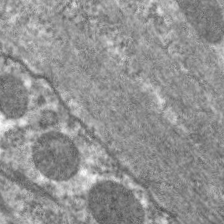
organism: C. elegans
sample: Pharynx